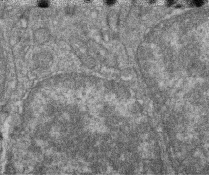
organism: Zebrafish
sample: Cilia; retinal pigment epithelium